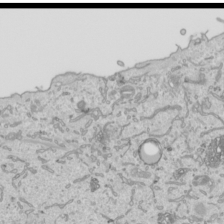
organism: Human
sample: Mitochondria in HCT116 cells